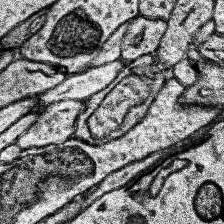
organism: Human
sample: Temporal Lobe